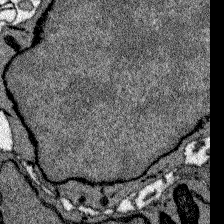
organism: Zebrafish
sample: Larval olfactory bulb